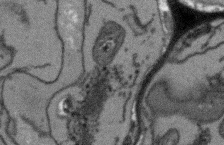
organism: Arabidopsis thaliana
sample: Root tip